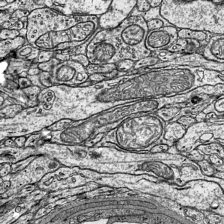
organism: Mouse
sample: Visual Cortex